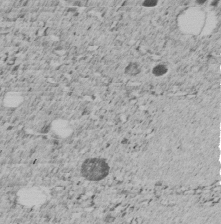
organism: C. elegans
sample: C. elegans embryo early stage